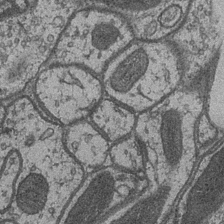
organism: Drosophila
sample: Optic medulla